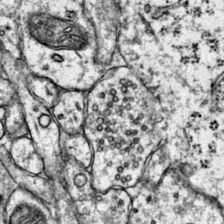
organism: Mouse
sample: Primary visual cortex